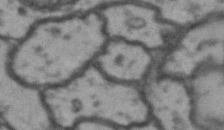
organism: Drosophila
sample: Brain